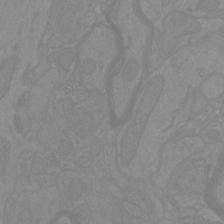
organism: Mouse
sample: Cortical neurons